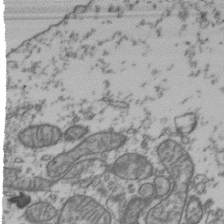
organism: Human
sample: Activated Jurkat CD4+ T cells